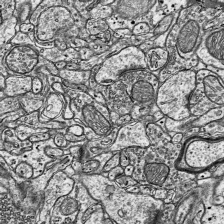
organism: Mouse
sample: Visual Cortex